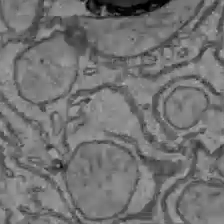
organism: C57BL Mouse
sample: Liver